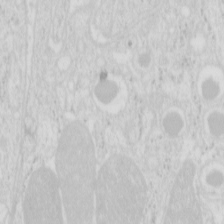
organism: Mouse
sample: Pancreas